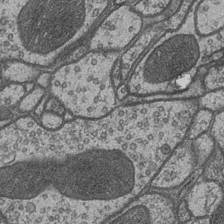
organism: Drosophila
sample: Optic medulla